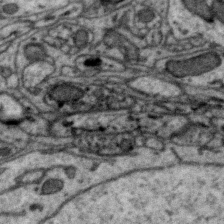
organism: Zebra finch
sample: Brain